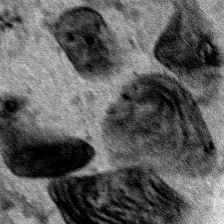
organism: Human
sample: Mitochondria in HCT116 cells